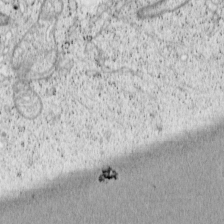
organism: African green monkey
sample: COS-7 cells